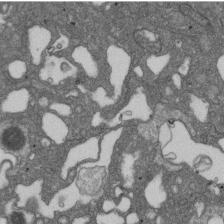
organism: Drosophila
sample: Nephrocyte